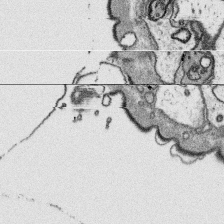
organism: Platynereis dumerilii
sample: Parapodia